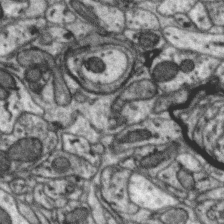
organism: Zebra finch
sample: Brain